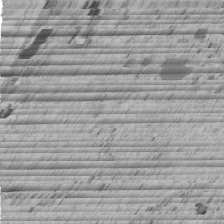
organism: C. elegans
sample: C. elegans embryo early stage